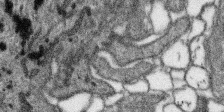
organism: Human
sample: Lung epithelial cells infected with SARS-CoV-2